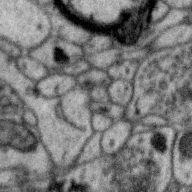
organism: Zebra finch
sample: Brain